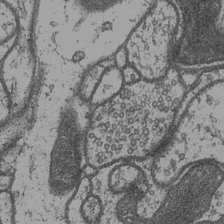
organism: Drosophila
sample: Optic medulla